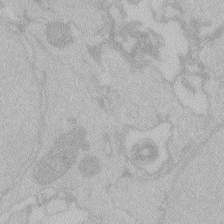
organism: Zebrafish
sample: Macrophage infected with Toxoplasma gondii